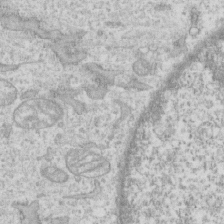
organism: Human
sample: CRL-1474